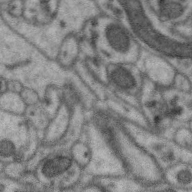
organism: Zebra finch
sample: Brain